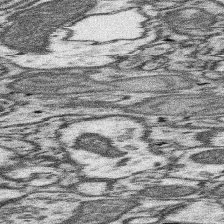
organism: Mouse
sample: Somatosensory cortex neuropil